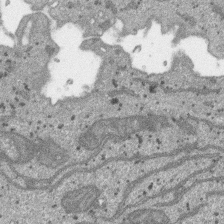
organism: Human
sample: Lung epithelial cells infected with SARS-CoV-2